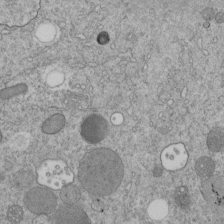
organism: C. elegans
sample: C. elegans embryo early stage